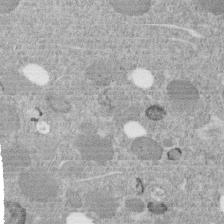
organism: C. elegans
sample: C. elegans embryo early stage